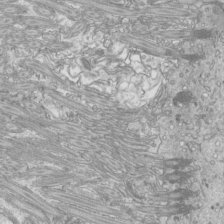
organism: Mouse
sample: Cilia; mouse epididymis